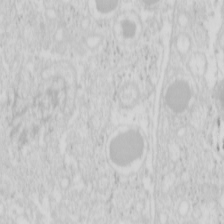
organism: Mouse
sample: Pancreas